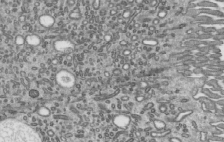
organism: Mouse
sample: Mouse epididymis efferent ductule cilia